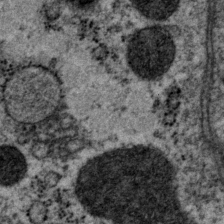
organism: P. pacificus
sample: Pharynx